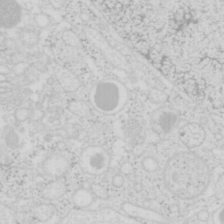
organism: Mouse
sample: Pancreas